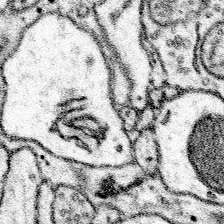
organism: Mouse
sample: Somatosensory cortex neuropil